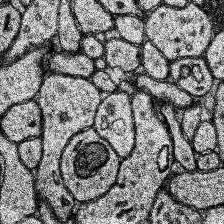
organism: Human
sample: Temporal Lobe